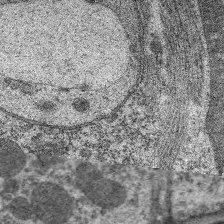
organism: C. elegans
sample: Pharynx